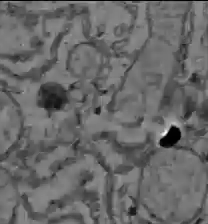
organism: C57BL Mouse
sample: Liver